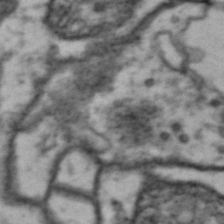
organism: Drosophila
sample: Brain